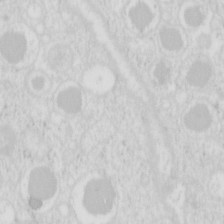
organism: Mouse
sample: Pancreas